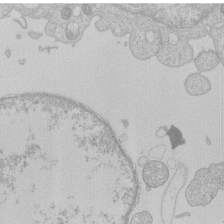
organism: Human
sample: Macrophage cells